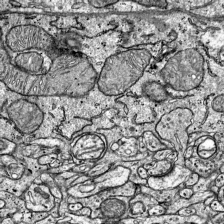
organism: Mouse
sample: Visual Cortex